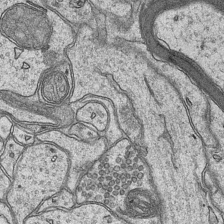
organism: Mouse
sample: CA1 Hippocampus